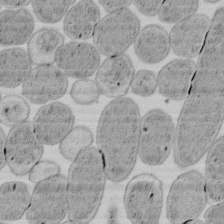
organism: E. coli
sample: Bacterial nucleoid